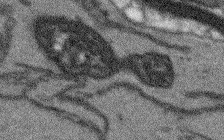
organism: Arabidopsis thaliana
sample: Root tip